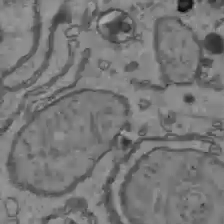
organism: C57BL Mouse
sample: Liver